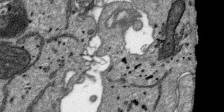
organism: Human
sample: Lung epithelial cells, uninfected (mock) control